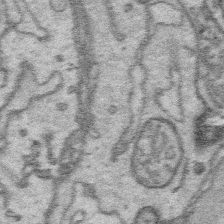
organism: Platynereis dumerilii